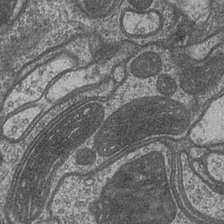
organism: Drosophila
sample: Optic medulla